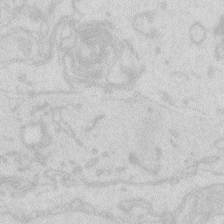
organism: Zebrafish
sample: Macrophage